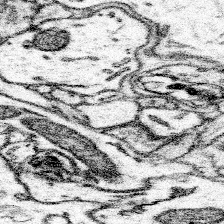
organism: Mouse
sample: Somatosensory cortex neuropil